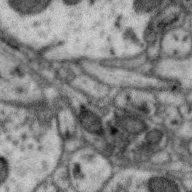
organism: Zebra finch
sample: Brain